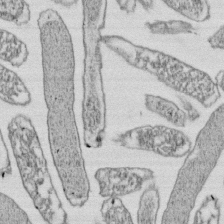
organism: E. coli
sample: Bacterial nucleoid